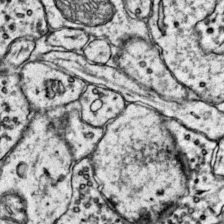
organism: Mouse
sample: Primary visual cortex